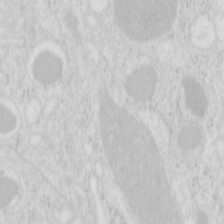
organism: Mouse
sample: Pancreas